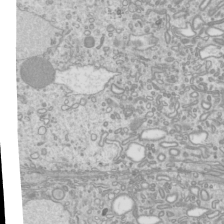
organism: Mouse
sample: Cilia; mouse epididymis